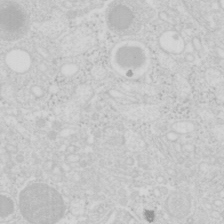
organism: Mouse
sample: Pancreas